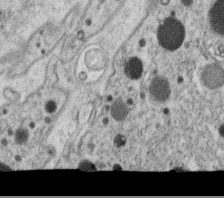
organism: C. elegans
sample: C. elegans oocyte; sperm cells